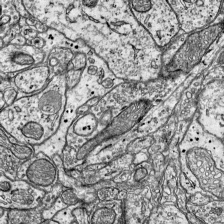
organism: Mouse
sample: Visual Cortex